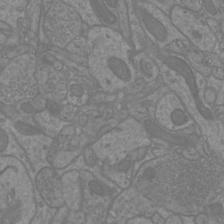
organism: Mouse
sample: Cortical neurons